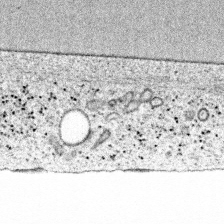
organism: Human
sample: HeLa cells